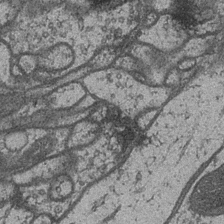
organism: Drosophila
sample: Optic medulla